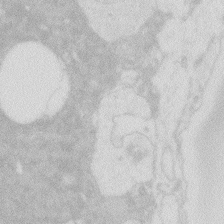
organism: Zebrafish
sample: Macrophage